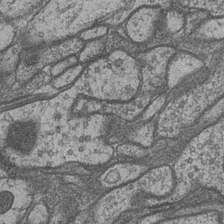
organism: Drosophila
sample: Optic medulla